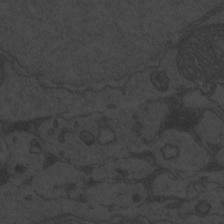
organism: Zebrafish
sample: Macrophage infected with Toxoplasma gondii